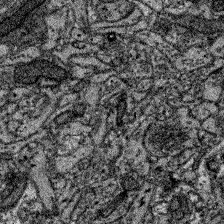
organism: Zebrafish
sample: Larval olfactory bulb